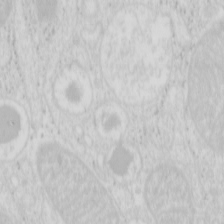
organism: Mouse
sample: Pancreas